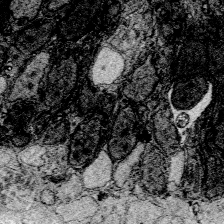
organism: Zebrafish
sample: Whole-Brain